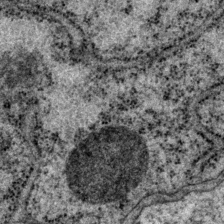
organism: P. pacificus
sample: Pharynx